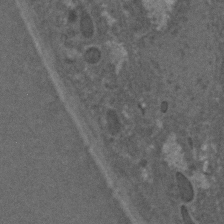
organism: C. elegans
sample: C. elegans embryo